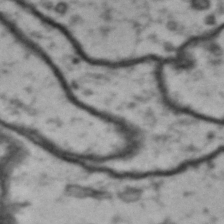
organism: Drosophila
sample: Brain